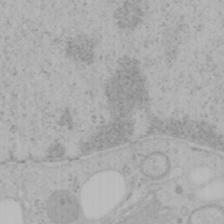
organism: Mouse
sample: OT-I killer T cells with ID8 ovarian cancer cells